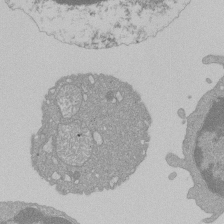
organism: Mouse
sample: Activated Pmel transgenic CD8+ T Cells